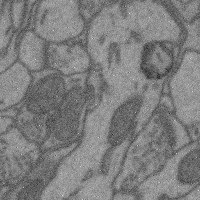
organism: Mouse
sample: Cerebral cortex